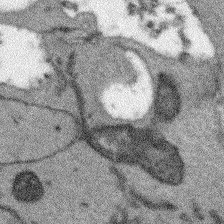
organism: Arabidopsis thaliana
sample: Root tip